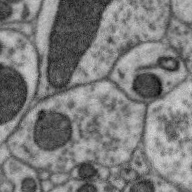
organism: Zebra finch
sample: Brain